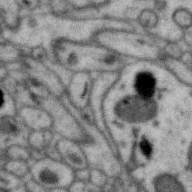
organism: Zebra finch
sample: Brain